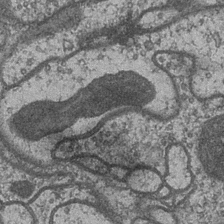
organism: Drosophila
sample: Optic medulla